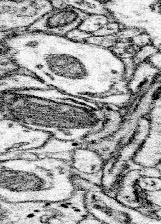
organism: Mouse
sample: Somatosensory cortex neuropil